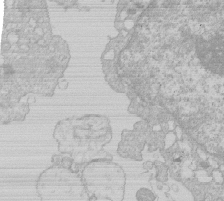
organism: Human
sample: Macrophage cells